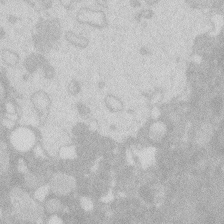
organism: Zebrafish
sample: Macrophage